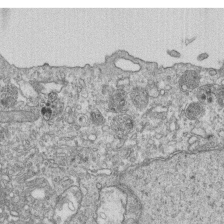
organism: Human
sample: HeLa cell HIV synapse